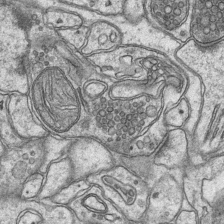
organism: Mouse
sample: CA1 Hippocampus